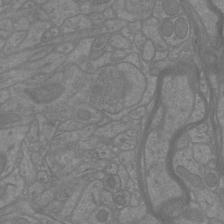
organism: Mouse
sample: Cortical neurons